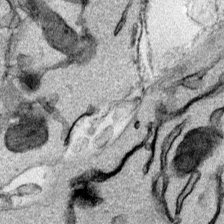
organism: Mouse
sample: Cancer cell death in ED-1 cells